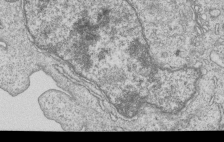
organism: Human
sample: MDA-MB-231 cells